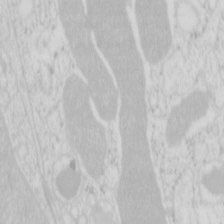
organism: Mouse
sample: Pancreas